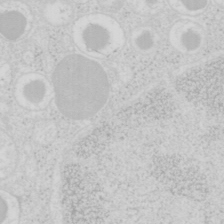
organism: Mouse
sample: Pancreas